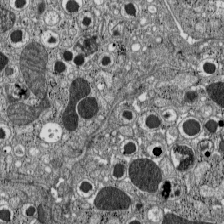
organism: C57BL Mouse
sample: Pancreatic islet